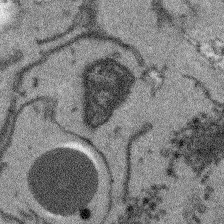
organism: Arabidopsis thaliana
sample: Root tip